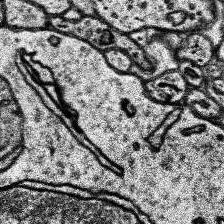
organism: Human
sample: Temporal Lobe